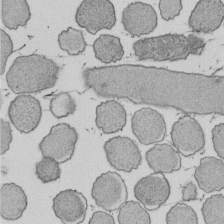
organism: E. coli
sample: Bacterial nucleoid